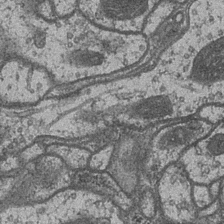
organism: Drosophila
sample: Optic medulla